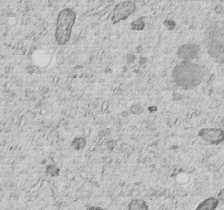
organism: C. elegans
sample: C. elegans embryo early stage